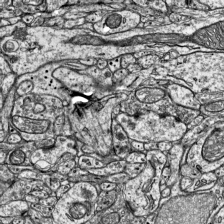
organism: Mouse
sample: Visual Cortex